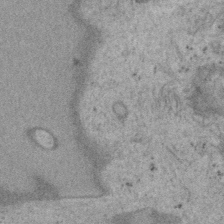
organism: Human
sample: HeLa cells